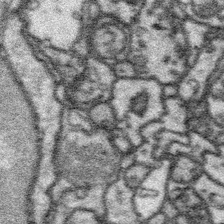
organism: Platynereis dumerilii